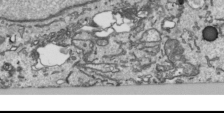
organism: Human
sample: Mitochondria in HCT116 cells